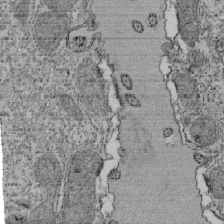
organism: Tetrahymena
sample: Cilia in tetrahymena